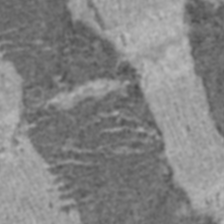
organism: C57BL Mouse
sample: Heart